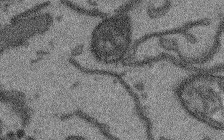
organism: Arabidopsis thaliana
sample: Root tip